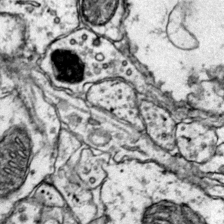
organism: Mouse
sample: Primary visual cortex